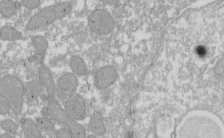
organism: Xenopus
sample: Cilia; centrioles in frog embryo cells